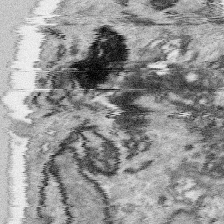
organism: Human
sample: HeLa cells